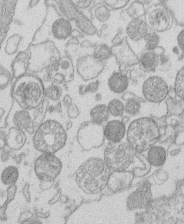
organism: Human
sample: Macrophage cells